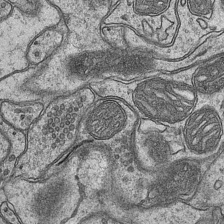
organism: Mouse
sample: CA1 Hippocampus